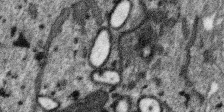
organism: Human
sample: Lung epithelial cells infected with SARS-CoV-2